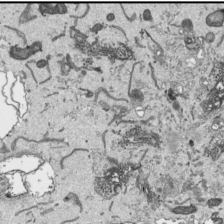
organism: Human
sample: Mitochondria in HCT116 cells